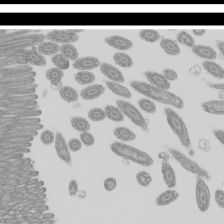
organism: Mouse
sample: Cilia; mouse epididymis